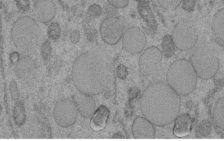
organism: C. elegans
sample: C. elegans embryo early stage